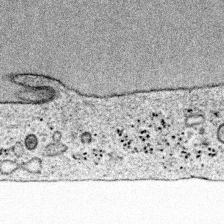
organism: Human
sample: HeLa cells